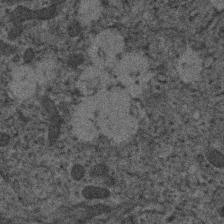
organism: Human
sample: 1205lu cells